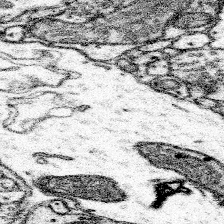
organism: Mouse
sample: Somatosensory cortex neuropil